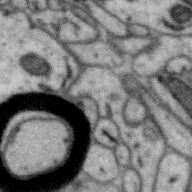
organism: Zebra finch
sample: Brain